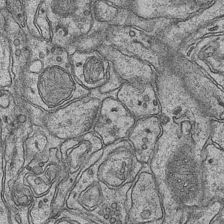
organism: Mouse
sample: CA1 Hippocampus